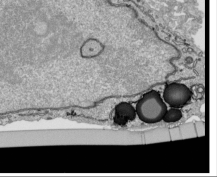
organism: Human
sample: Mitochondria in HCT116 cells